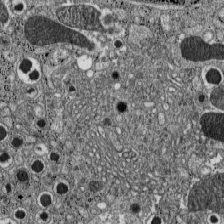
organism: C57BL Mouse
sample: Pancreatic islet